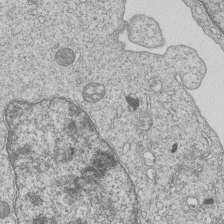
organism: Human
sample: MDA-MB-231 cells